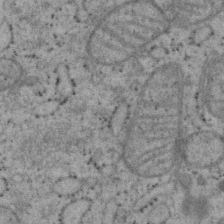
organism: Human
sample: HeLa cells